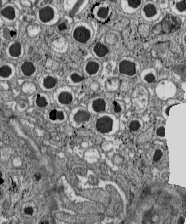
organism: C57BL Mouse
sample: Pancreatic islet